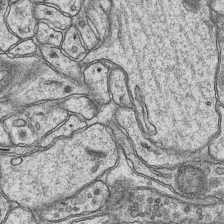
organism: Mouse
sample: CA1 Hippocampus